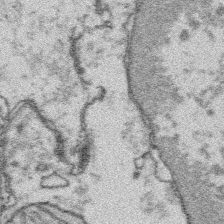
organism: Platynereis dumerilii